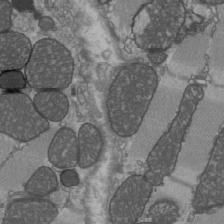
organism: C57BL Mouse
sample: Heart